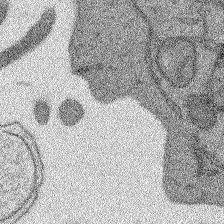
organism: Human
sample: HeLa cells